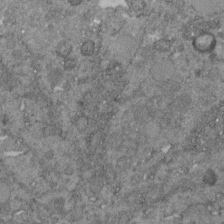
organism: C. elegans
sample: C. elegans embryo early stage